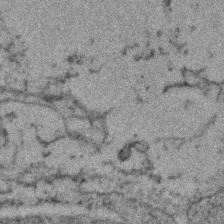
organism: Zebrafish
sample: Zebrafish embryo